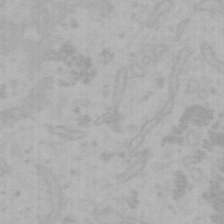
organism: Mouse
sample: Choroid plexus